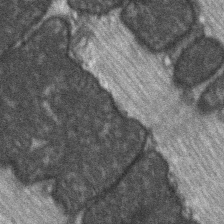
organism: C57BL Mouse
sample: Soleus